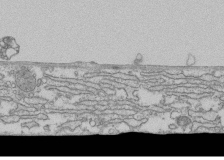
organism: Human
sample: Fibroblast cells